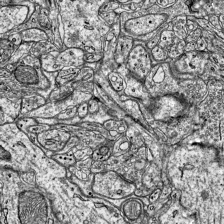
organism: Mouse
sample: Visual Cortex